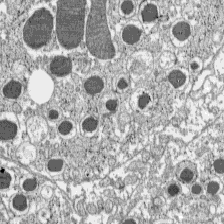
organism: C57BL Mouse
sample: Pancreatic islet